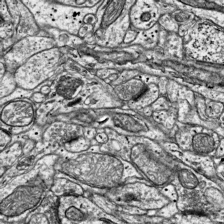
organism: Mouse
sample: Visual Cortex